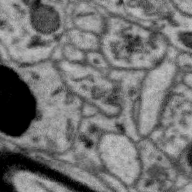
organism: Zebra finch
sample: Brain